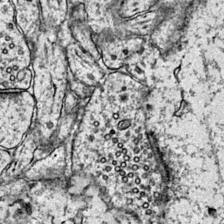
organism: Mouse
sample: Primary visual cortex